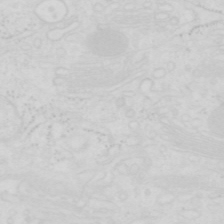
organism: Human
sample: SUM-159 cell